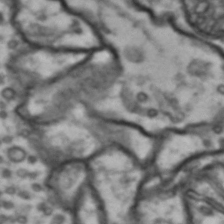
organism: Drosophila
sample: Brain